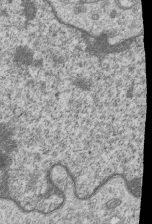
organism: Human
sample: MDA-MB-231 cells